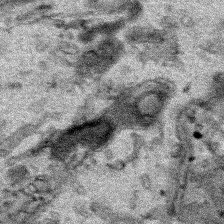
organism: Human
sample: Mitochondria in HCT116 cells